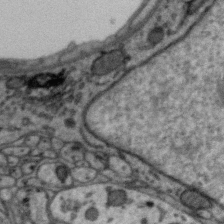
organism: Zebra finch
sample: Brain